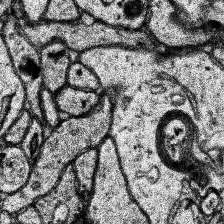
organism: Human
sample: Temporal Lobe